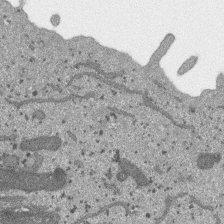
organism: Human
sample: Lung epithelial cells infected with SARS-CoV-2